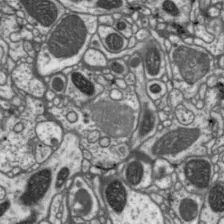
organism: Drosophila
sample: Protocerebral bridge